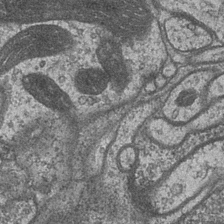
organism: Drosophila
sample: Optic medulla